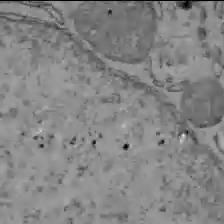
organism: C57BL Mouse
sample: Liver